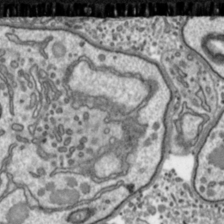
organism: Toxoplasma gondii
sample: Parasites in a vacuole inside a host cell